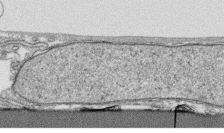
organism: Human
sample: CRL-1474